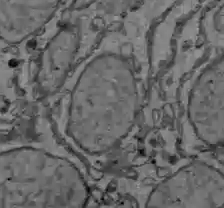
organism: C57BL Mouse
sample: Liver